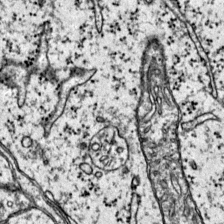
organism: Mouse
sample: Primary visual cortex